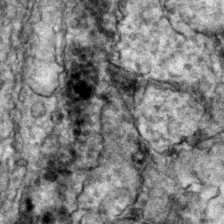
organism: Zebrafish